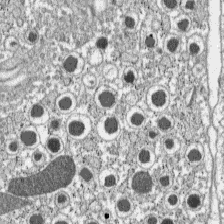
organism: C57BL Mouse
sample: Pancreatic islet